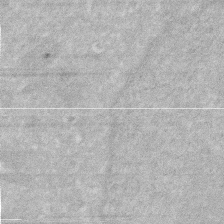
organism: Human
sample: HIV infected U937 cells